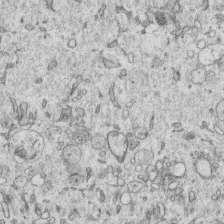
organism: Human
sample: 1205lu cells